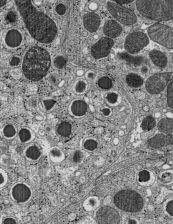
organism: C57BL Mouse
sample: Pancreatic islet